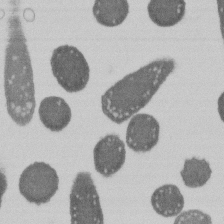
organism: E. coli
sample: Bacterial nucleoid